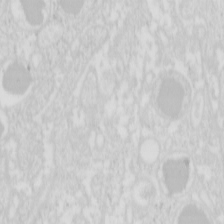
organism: Mouse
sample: Pancreas